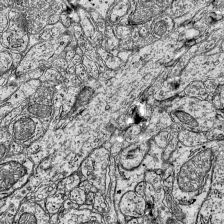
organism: Mouse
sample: Visual Cortex